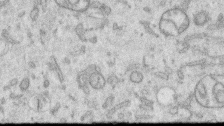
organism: Human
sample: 1205lu cells